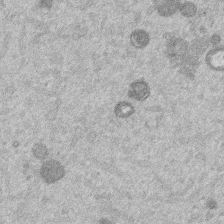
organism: Mouse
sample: Dividing mouse embryo 1 cell stage